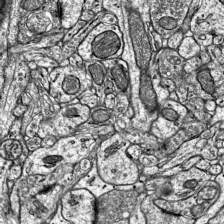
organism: Mouse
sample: Visual Cortex